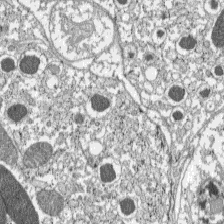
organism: C57BL Mouse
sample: Pancreatic islet